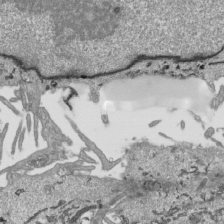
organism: Human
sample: Mitochondria in HCT116 cells